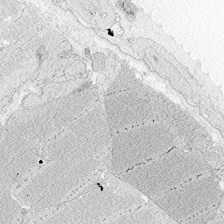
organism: Zebrafish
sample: Whole-Brain